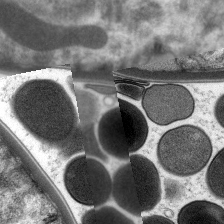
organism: C. elegans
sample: Pharynx